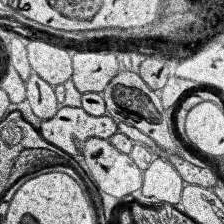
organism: Human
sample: Temporal Lobe